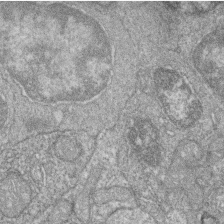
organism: Zebrafish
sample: Cilia; retinal pigment epithelium